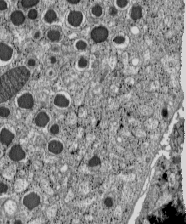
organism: C57BL Mouse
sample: Pancreatic islet